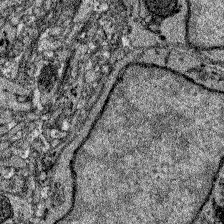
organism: Zebrafish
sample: Larval olfactory bulb